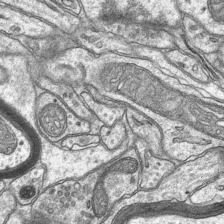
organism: Mouse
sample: CA1 Hippocampus